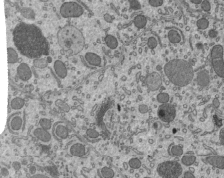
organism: Mouse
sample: Mouse epididymis efferent ductule cilia